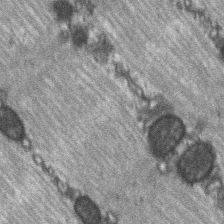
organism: C57BL Mouse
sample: Soleus